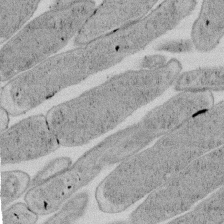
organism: E. coli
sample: Bacterial nucleoid